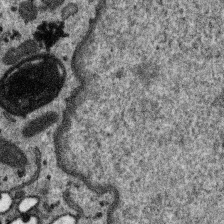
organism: Human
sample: Lung epithelial cells infected with SARS-CoV-2